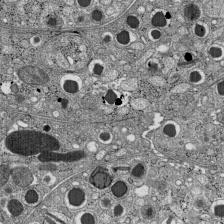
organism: C57BL Mouse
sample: Pancreatic islet